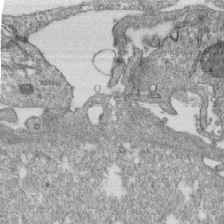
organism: African green monkey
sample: Vero E6 cells infected with SARS-CoV-2